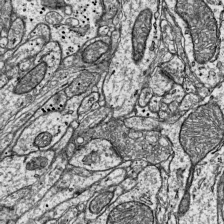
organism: Mouse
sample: Visual Cortex